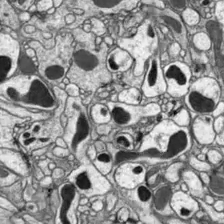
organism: Drosophila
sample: Optic lobe